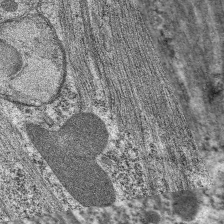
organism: C. elegans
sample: Pharynx